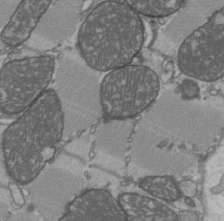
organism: C57BL Mouse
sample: Heart